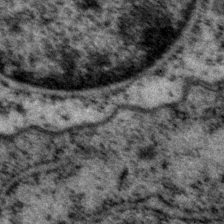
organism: P. pacificus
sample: Pharynx